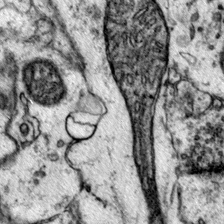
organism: Mouse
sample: Primary visual cortex